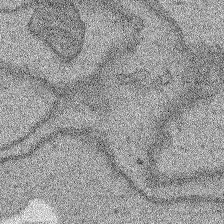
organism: Human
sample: HeLa cells